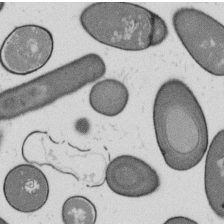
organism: B. subtilis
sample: Bacterial spore